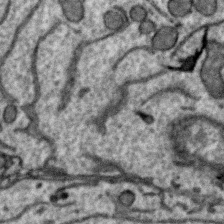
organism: Zebra finch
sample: Brain